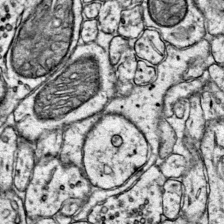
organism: Mouse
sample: Primary visual cortex